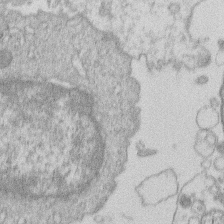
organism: Human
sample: Macrophage cells